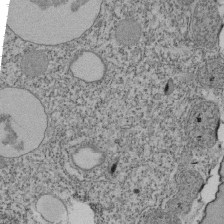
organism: Tetrahymena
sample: Cilia in tetrahymena